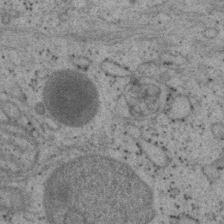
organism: Human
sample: HeLa cells